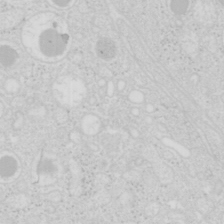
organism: Mouse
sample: Pancreas